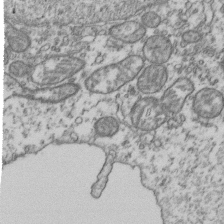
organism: Human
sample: Activated Jurkat CD4+ T cells